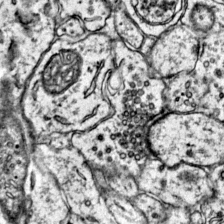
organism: Mouse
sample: Primary visual cortex